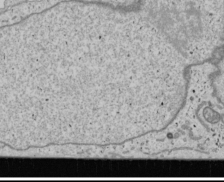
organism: Human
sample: Mitochondria in U2OS cells